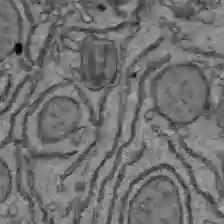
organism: C57BL Mouse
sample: Liver